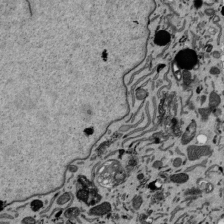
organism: Mouse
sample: ED-1 cell nuclei; centrioles